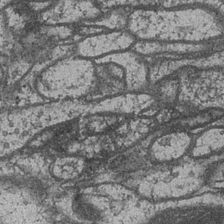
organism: Drosophila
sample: Optic medulla